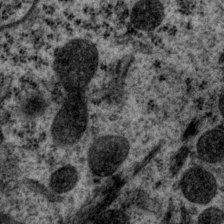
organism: P. pacificus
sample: Pharynx